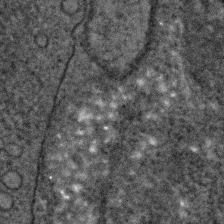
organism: C. elegans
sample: C. elegans embryo